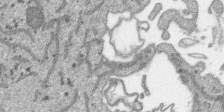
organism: Human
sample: Lung epithelial cells infected with SARS-CoV-2